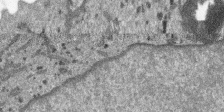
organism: Human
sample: Lung epithelial cells infected with SARS-CoV-2